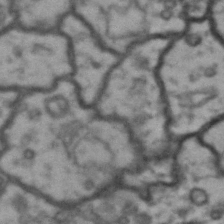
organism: Drosophila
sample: Brain